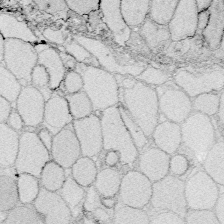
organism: Zebrafish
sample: Whole-Brain